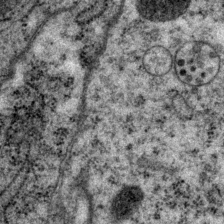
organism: P. pacificus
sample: Pharynx